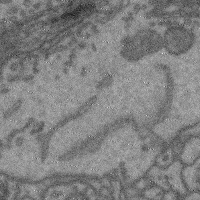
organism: Mouse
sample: Cerebral cortex